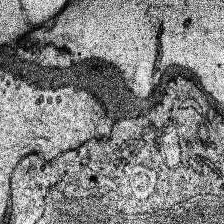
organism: Human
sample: Temporal Lobe